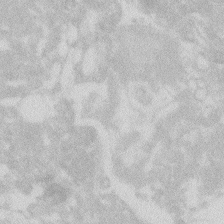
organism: Zebrafish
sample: Macrophage